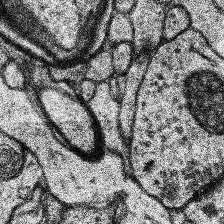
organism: Human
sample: Temporal Lobe